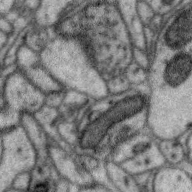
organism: Zebra finch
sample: Brain